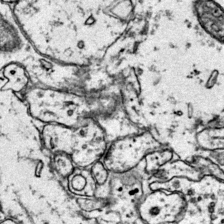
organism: Mouse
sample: Primary visual cortex